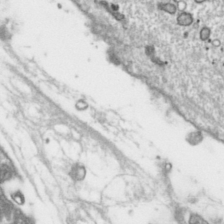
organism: Toxoplasma gondii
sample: Parasites in a vacuole inside a host cell